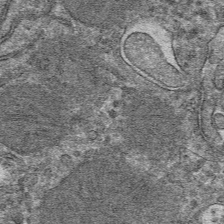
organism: Mouse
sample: Mouse hepatocytes